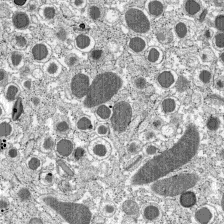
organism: C57BL Mouse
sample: Pancreatic islet